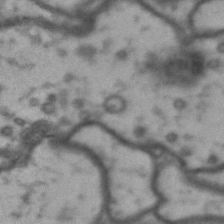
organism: Drosophila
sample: Brain